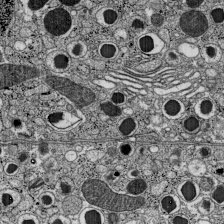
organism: C57BL Mouse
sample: Pancreatic islet